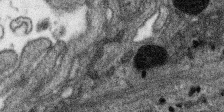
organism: Human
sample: Lung epithelial cells infected with SARS-CoV-2